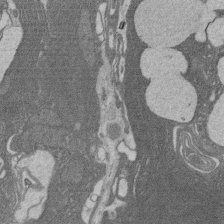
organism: Rat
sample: Salivary granule